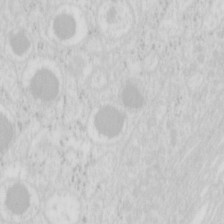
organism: Mouse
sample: Pancreas